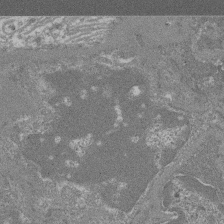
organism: Mouse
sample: Glomerulus